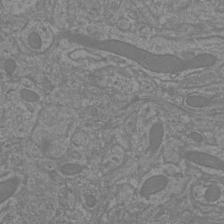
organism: Mouse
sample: Cortical neurons